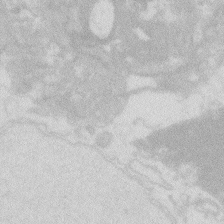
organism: Zebrafish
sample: Macrophage